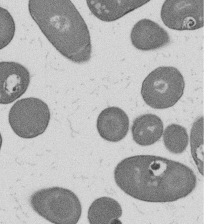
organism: B. subtilis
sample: Bacterial spore